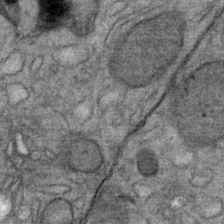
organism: Mouse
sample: Mouse Salivary gland